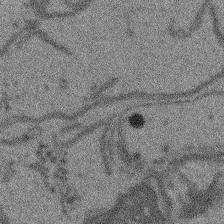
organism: Arabidopsis thaliana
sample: Root tip